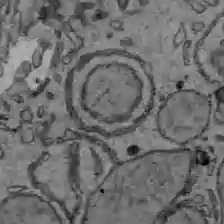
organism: C57BL Mouse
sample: Liver